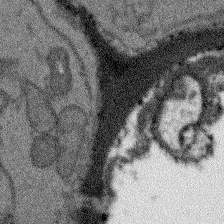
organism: Arabidopsis thaliana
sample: Root tip